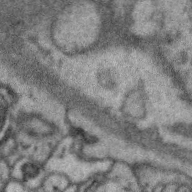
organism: Zebra finch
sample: Brain